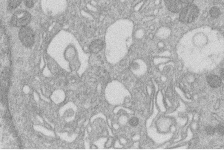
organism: Human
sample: Macrophage cells